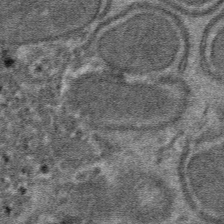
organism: Mouse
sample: Mouse hepatocytes